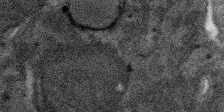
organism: Human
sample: Lung epithelial cells infected with SARS-CoV-2